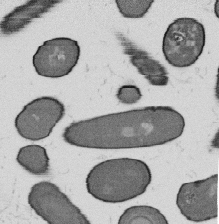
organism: B. subtilis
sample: Bacterial spore